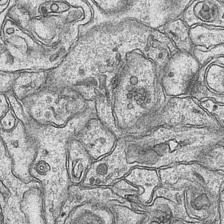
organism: Mouse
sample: CA1 Hippocampus